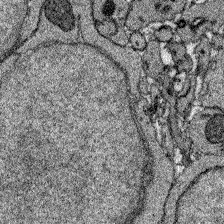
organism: Zebrafish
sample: Larval olfactory bulb